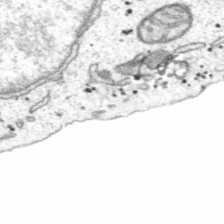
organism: Human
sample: HeLa cells